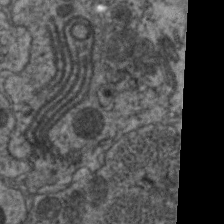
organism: C. elegans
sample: Pharynx